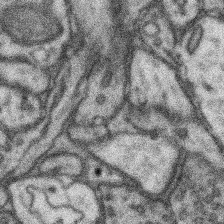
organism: Mouse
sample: Somatosensory cortex neuropil